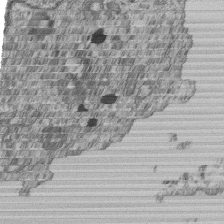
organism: Human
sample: MDA-MB-231 cells